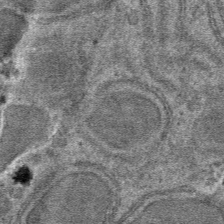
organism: Mouse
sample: Mouse hepatocytes